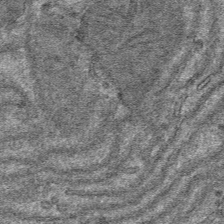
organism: Mouse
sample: Mouse hepatocytes